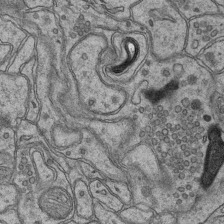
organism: Mouse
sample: CA1 Hippocampus